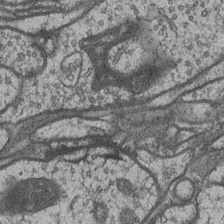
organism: Drosophila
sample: Optic medulla